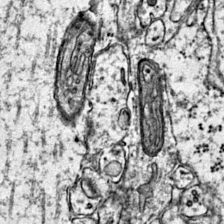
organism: Mouse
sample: Primary visual cortex